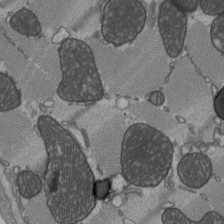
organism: C57BL Mouse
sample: Heart